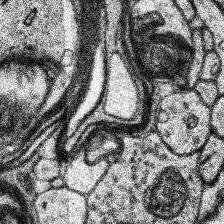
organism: Human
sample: Temporal Lobe